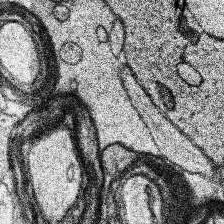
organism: Human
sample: Temporal Lobe